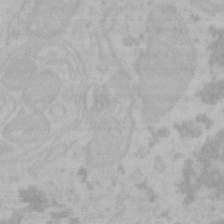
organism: Mouse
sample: Choroid plexus